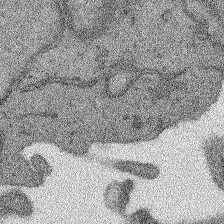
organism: Human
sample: HeLa cells